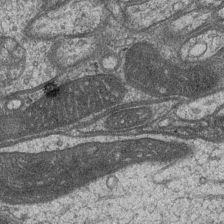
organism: Drosophila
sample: Optic medulla